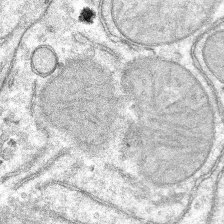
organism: Mouse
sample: Mouse hepatocytes